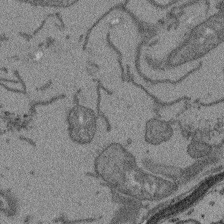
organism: Arabidopsis thaliana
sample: Root tip